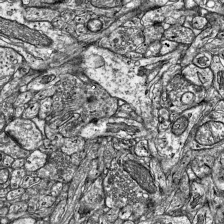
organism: Mouse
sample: Visual Cortex